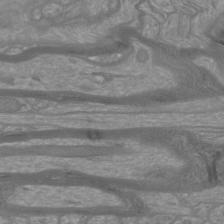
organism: Mouse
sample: Cortical neurons